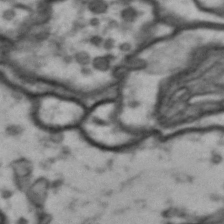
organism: Drosophila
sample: Brain